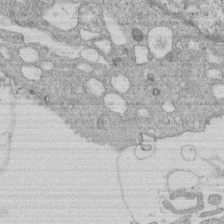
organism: Human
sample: Macrophage cells